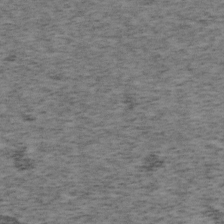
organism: Mouse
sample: OT-I killer T cells with ID8 ovarian cancer cells